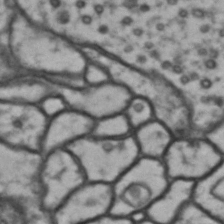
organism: Drosophila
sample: Brain